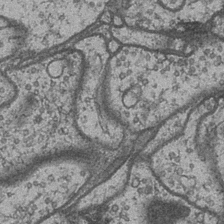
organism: Drosophila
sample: Optic medulla